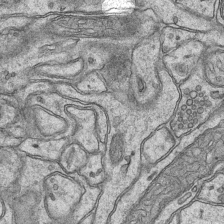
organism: Mouse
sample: CA1 Hippocampus